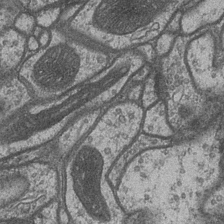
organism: Drosophila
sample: Optic medulla